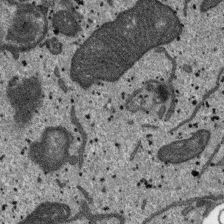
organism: Human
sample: Lung epithelial cells, uninfected (mock) control